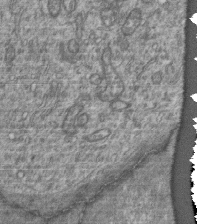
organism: Human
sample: Retinal organoid Rod and Cone cells